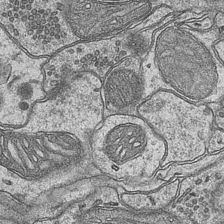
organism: Mouse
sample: CA1 Hippocampus